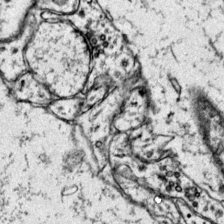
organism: Mouse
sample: Primary visual cortex